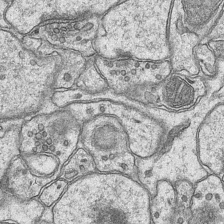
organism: Mouse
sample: CA1 Hippocampus